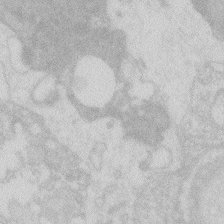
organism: Zebrafish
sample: Macrophage